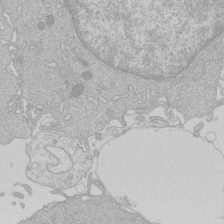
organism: Human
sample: Macrophage cells